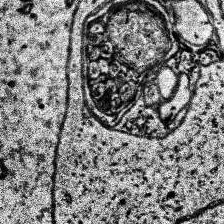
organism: Human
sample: Temporal Lobe